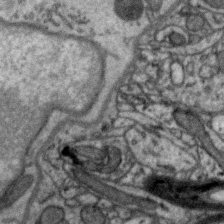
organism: Zebra finch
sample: Brain